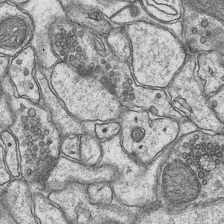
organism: Mouse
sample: CA1 Hippocampus